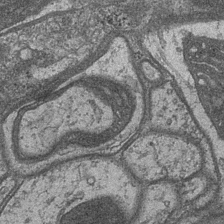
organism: Drosophila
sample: Optic medulla